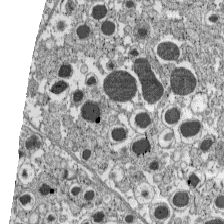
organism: C57BL Mouse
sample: Pancreatic islet